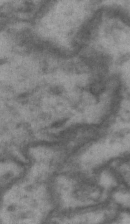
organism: Drosophila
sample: Brain